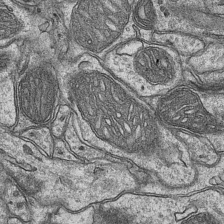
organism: Mouse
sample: CA1 Hippocampus